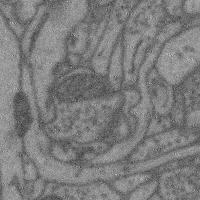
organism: Mouse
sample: Cerebral cortex